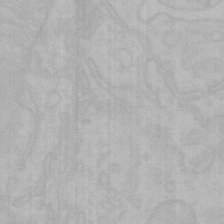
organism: Mouse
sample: Choroid plexus